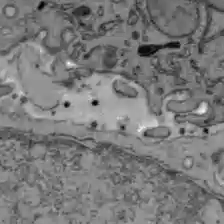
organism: C57BL Mouse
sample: Liver